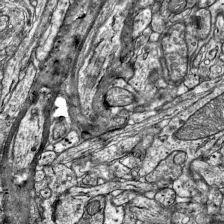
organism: Mouse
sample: Visual Cortex